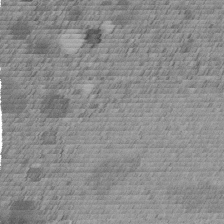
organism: C. elegans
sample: C. elegans embryo early stage